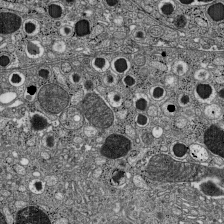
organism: C57BL Mouse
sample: Pancreatic islet